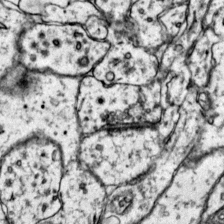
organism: Mouse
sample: Primary visual cortex